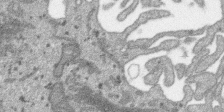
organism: Human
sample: Lung epithelial cells infected with SARS-CoV-2